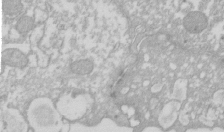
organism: Xenopus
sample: Cilia; centrioles in frog embryo cells